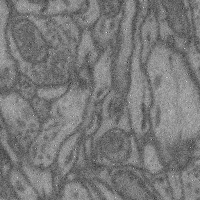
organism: Mouse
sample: Cerebral cortex